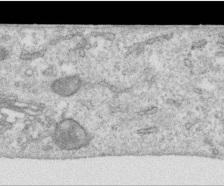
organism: Human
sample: Centriole in RPE cells